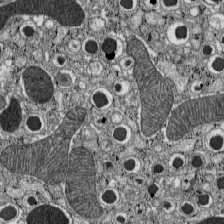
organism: C57BL Mouse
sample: Pancreatic islet